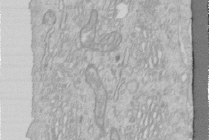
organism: Human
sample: Centriole in RPE cells